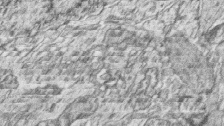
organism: Zebrafish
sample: synaptic ribbons in rod cells and cone cells